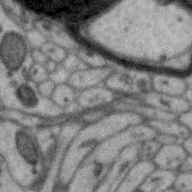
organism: Zebra finch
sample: Brain